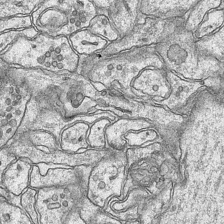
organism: Mouse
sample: CA1 Hippocampus